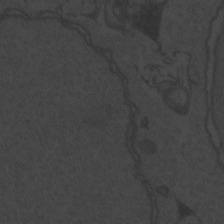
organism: Zebrafish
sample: Macrophage infected with Toxoplasma gondii